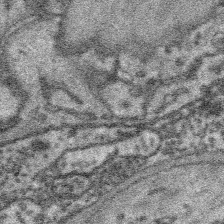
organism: Platynereis dumerilii